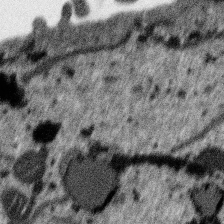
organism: Human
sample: Lung epithelial cells infected with SARS-CoV-2